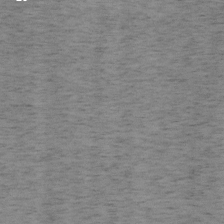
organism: Mouse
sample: OT-I killer T cells with ID8 ovarian cancer cells